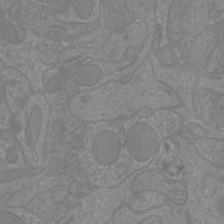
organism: Mouse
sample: Cortical neurons